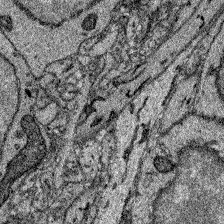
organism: Zebrafish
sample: Larval olfactory bulb